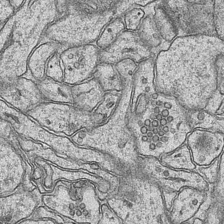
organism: Mouse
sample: CA1 Hippocampus